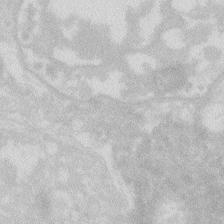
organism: Zebrafish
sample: Macrophage